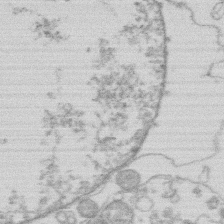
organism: Human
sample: Macrophage cells